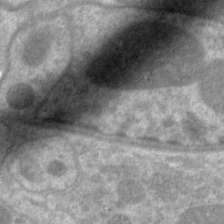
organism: C. elegans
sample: Pharynx